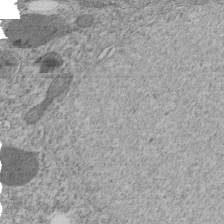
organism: C. elegans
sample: C. elegans embryo early stage